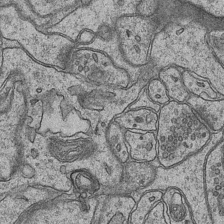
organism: Mouse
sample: CA1 Hippocampus